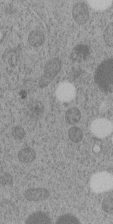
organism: C. elegans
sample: C. elegans embryo early stage